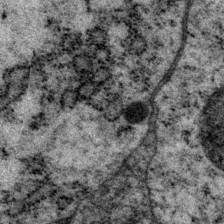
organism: P. pacificus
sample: Pharynx